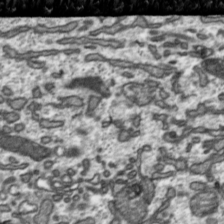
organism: Toxoplasma gondii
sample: Parasites in a vacuole inside a host cell